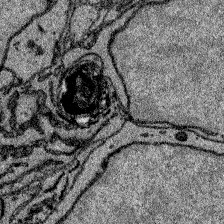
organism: Zebrafish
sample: Larval olfactory bulb